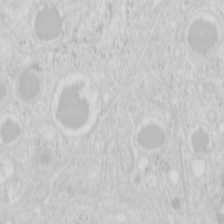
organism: Mouse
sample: Pancreas